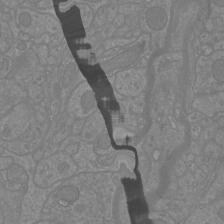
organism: Mouse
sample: Cortical neurons